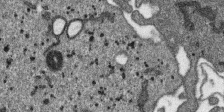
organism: Human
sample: Lung epithelial cells infected with SARS-CoV-2